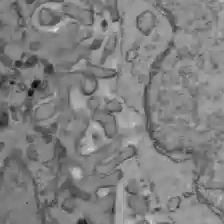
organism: C57BL Mouse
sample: Liver